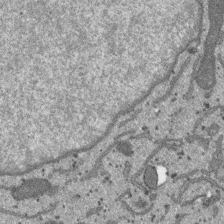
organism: Human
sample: Lung epithelial cells infected with SARS-CoV-2